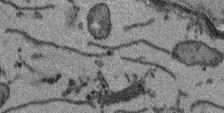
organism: Arabidopsis thaliana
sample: Root tip